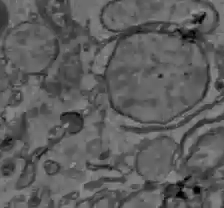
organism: C57BL Mouse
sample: Liver